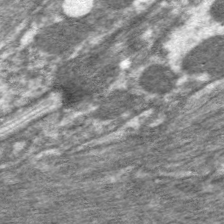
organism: C. elegans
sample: Pharynx